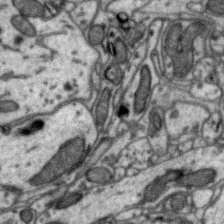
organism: Zebra finch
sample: Brain